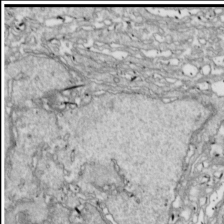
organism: Drosophila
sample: Cell division; meiosis; drosophila spermatocytes